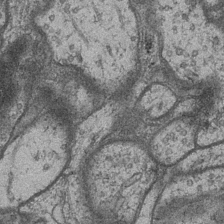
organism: Drosophila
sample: Optic medulla